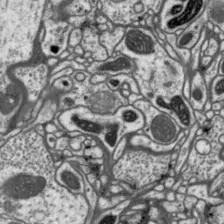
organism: Drosophila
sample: Protocerebral bridge